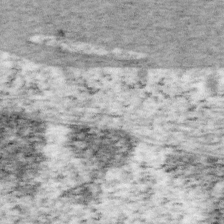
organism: Mouse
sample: OT-I killer T cells with ID8 ovarian cancer cells